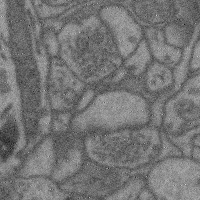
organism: Mouse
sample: Cerebral cortex